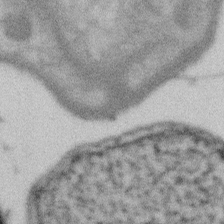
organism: Gemmata obscuriglobus